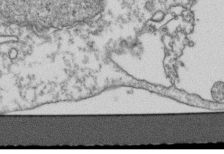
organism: Human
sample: Activated Jurkat CD4+ T cells